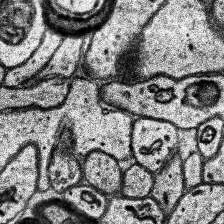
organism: Human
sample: Temporal Lobe